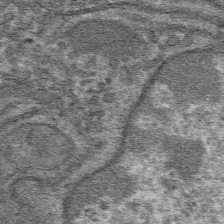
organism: Mouse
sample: Mouse hepatocytes